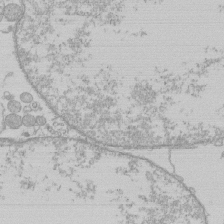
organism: Human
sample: Macrophage cells